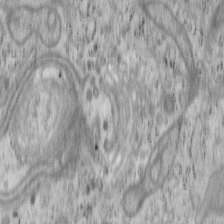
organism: Human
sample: HeLa cells